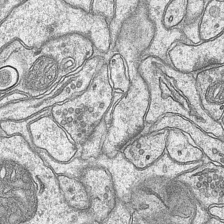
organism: Mouse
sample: CA1 Hippocampus